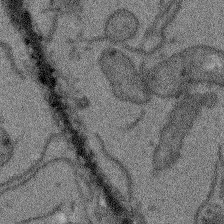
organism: Arabidopsis thaliana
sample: Root tip